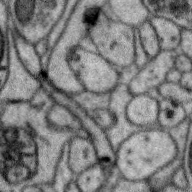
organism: Zebra finch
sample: Brain